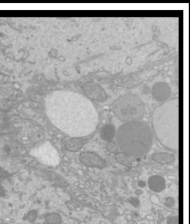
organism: Mouse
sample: Cilia; mouse epididymis